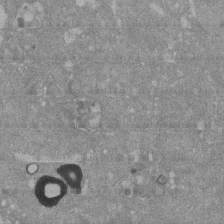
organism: Mouse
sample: ED-1 cell nuclei; centrioles